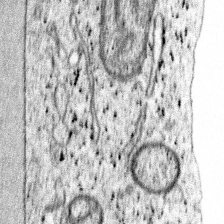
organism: Human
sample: HeLa cells